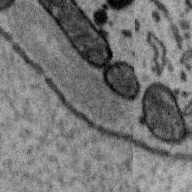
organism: Zebra finch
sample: Brain